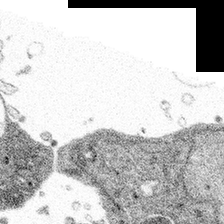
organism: Spongilla lacustris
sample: Multiple